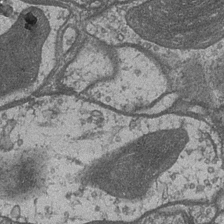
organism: Drosophila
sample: Optic medulla